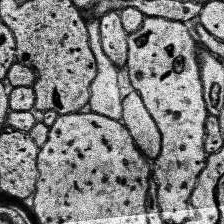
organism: Human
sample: Temporal Lobe